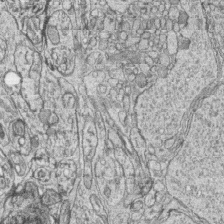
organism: Zebrafish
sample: synaptic ribbons in rod cells and cone cells